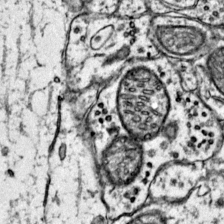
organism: Mouse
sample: Primary visual cortex